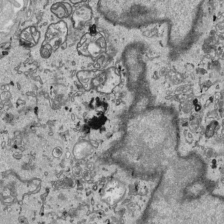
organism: Human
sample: Mitochondria in HCT116 cells